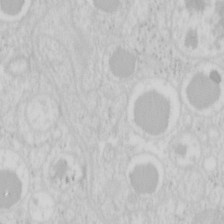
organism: Mouse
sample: Pancreas